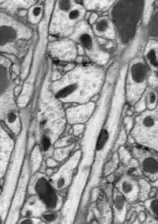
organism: Drosophila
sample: Optic lobe